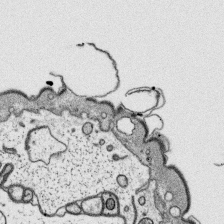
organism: Platynereis dumerilii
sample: Parapodia